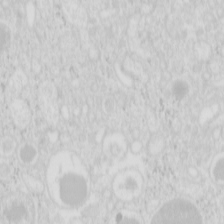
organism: Mouse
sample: Pancreas